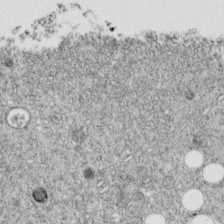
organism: C. elegans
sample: C. elegans embryo early stage